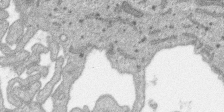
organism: Human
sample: Lung epithelial cells infected with SARS-CoV-2